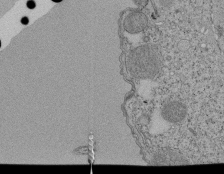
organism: Tetrahymena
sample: Cilia in tetrahymena